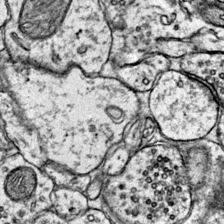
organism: Mouse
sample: Primary visual cortex